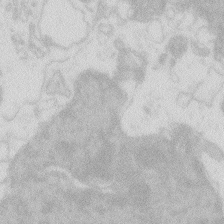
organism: Zebrafish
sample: Macrophage